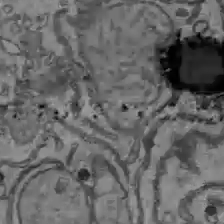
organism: C57BL Mouse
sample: Liver